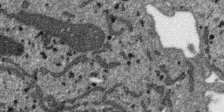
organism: Human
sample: Lung epithelial cells infected with SARS-CoV-2